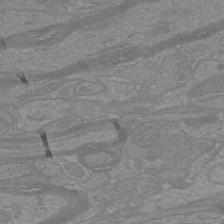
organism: Mouse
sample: Cortical neurons